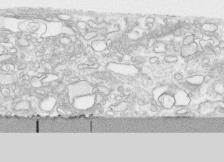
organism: Human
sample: CRL-1474